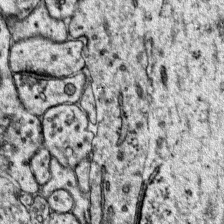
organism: Mouse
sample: Primary visual cortex